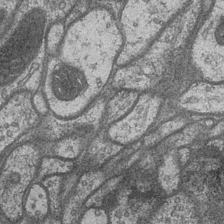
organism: Drosophila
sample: Optic medulla